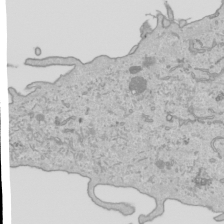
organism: Human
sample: Mitochondria in HCT116 cells